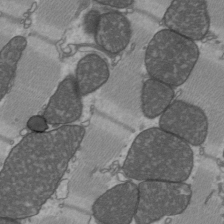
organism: C57BL Mouse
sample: Heart